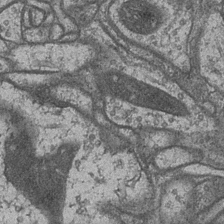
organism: Drosophila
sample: Optic medulla